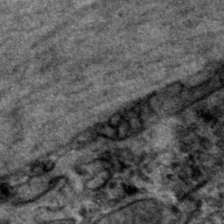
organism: Mouse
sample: Mouse hepatocytes